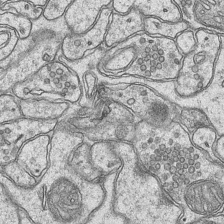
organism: Mouse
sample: CA1 Hippocampus